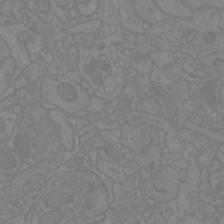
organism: Mouse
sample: Cortical neurons